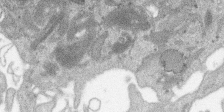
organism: Human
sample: Lung epithelial cells infected with SARS-CoV-2